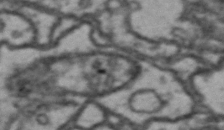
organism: Drosophila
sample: Brain